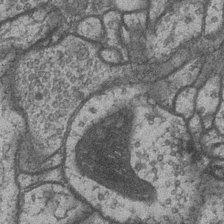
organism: Drosophila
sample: Optic medulla